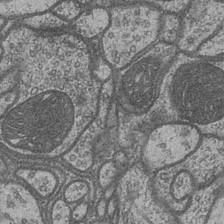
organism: Drosophila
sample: Optic medulla